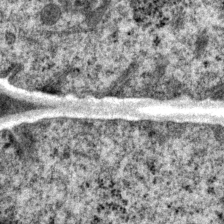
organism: P. pacificus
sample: Pharynx